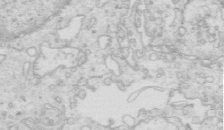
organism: Mouse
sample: Multiciliated cells